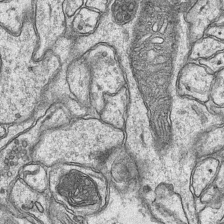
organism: Mouse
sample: CA1 Hippocampus